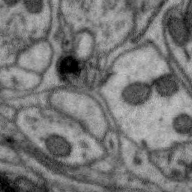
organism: Zebra finch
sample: Brain